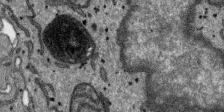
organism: Human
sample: Lung epithelial cells, uninfected (mock) control